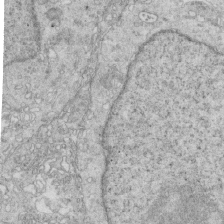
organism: Mouse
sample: Multiciliated cells